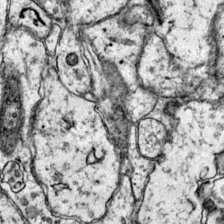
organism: Mouse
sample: Primary visual cortex